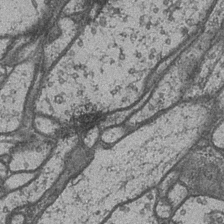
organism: Drosophila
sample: Optic medulla